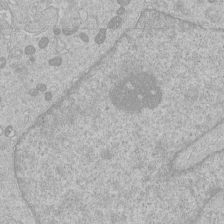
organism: Human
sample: Macrophage cells